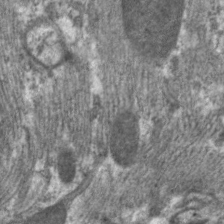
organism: C. elegans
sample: Pharynx